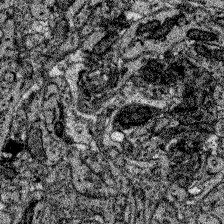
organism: Zebrafish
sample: Larval olfactory bulb